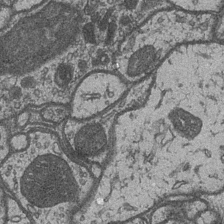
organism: Drosophila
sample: Optic medulla